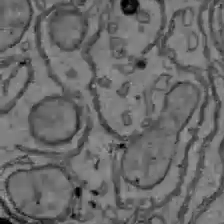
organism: C57BL Mouse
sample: Liver